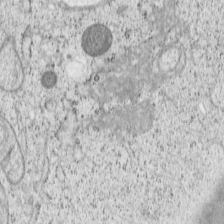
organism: African green monkey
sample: COS-7 cells